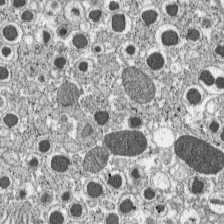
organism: C57BL Mouse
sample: Pancreatic islet